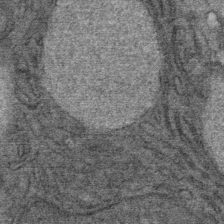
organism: Mouse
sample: Mouse Salivary gland